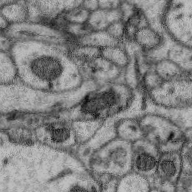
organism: Zebra finch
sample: Brain